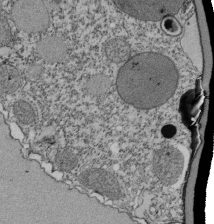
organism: Tetrahymena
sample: Cilia in tetrahymena